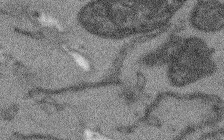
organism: Arabidopsis thaliana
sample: Root tip